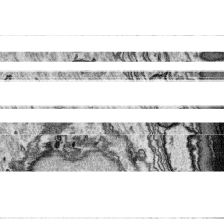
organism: Platynereis dumerilii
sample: Parapodia